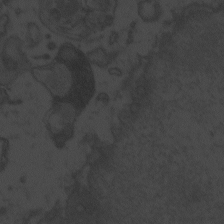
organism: Zebrafish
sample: Macrophage infected with Toxoplasma gondii